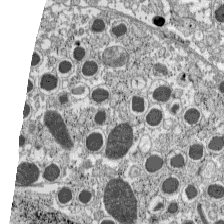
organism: C57BL Mouse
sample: Pancreatic islet